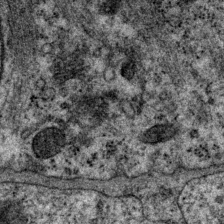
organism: P. pacificus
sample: Pharynx